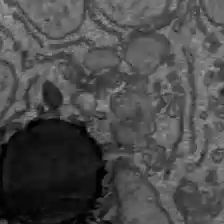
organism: C57BL Mouse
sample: Liver